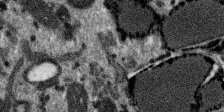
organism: Human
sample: Lung epithelial cells infected with SARS-CoV-2